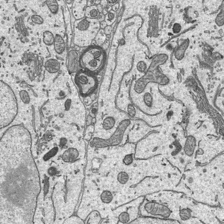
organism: Mouse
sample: Suprachiasmatic nucleus